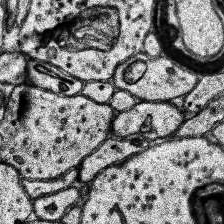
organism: Human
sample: Temporal Lobe